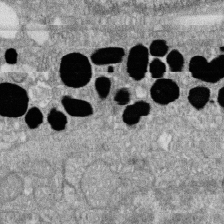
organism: Zebrafish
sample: Cilia; retinal pigment epithelium